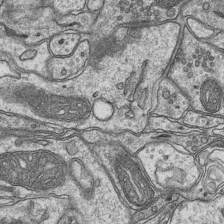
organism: Mouse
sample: CA1 Hippocampus